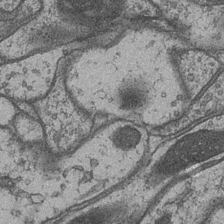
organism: Drosophila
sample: Optic medulla